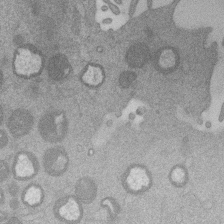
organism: Mouse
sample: Dividing mouse embryo 1 cell stage